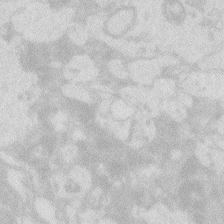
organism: Zebrafish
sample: Macrophage